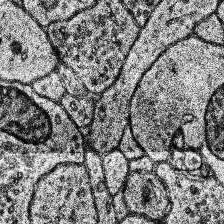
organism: Human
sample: Temporal Lobe